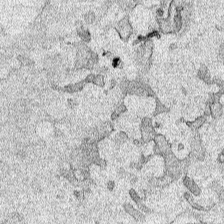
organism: Human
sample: Mitochondria in HCT116 cells